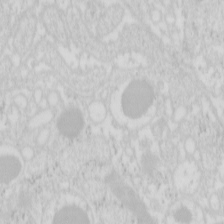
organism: Mouse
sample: Pancreas